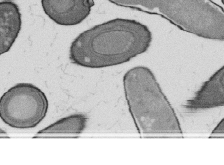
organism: B. subtilis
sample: Bacterial spore